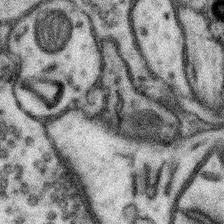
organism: Mouse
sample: Somatosensory cortex neuropil